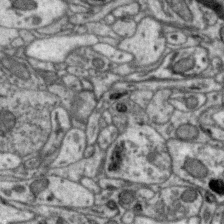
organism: Zebra finch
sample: Brain